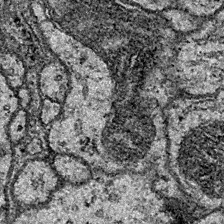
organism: Drosophila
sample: Ventral Nerve Cord